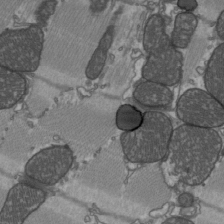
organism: C57BL Mouse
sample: Heart